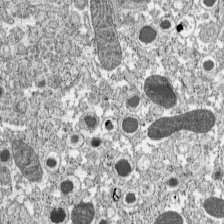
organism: C57BL Mouse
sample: Pancreatic islet